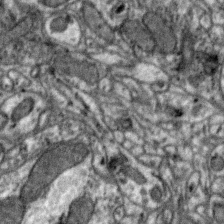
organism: Zebra finch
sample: Brain